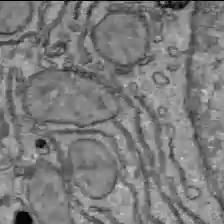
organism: C57BL Mouse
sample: Liver